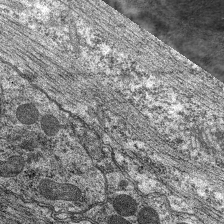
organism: C. elegans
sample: Pharynx